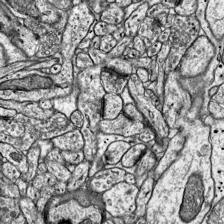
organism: Mouse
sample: Visual Cortex